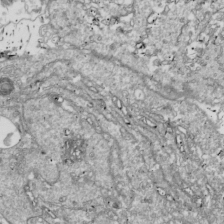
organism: Drosophila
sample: Cell division; meiosis; drosophila spermatocytes